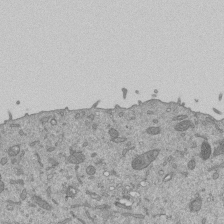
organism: Mouse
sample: ED-1 cell nuclei; centrioles